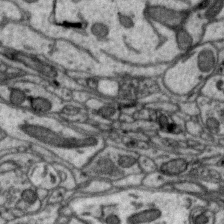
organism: Zebra finch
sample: Brain